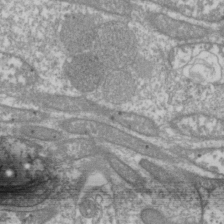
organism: Drosophila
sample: Cell division; meiosis; drosophila spermatocytes